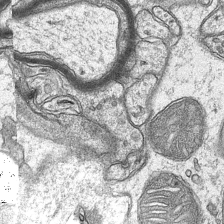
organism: Mouse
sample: CA1 Hippocampus